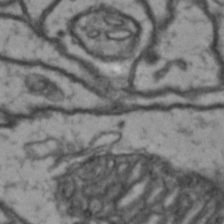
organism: Drosophila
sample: Brain